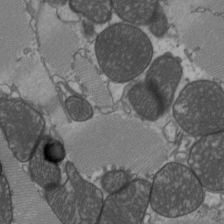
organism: C57BL Mouse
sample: Heart